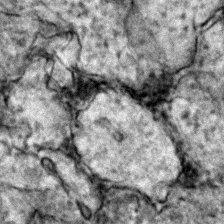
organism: Zebrafish